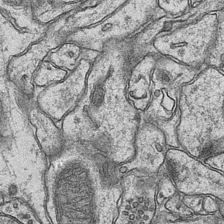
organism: Mouse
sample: CA1 Hippocampus